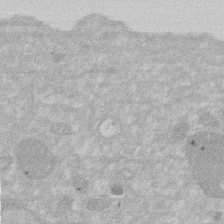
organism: Human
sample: HIV infected U937 cells